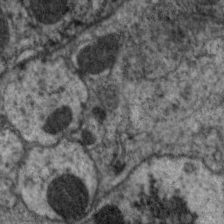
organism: C. elegans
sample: Pharynx